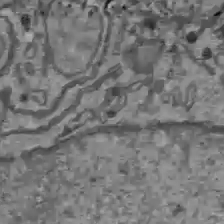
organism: C57BL Mouse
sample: Liver